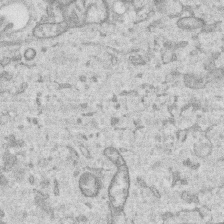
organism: Human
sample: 1205lu cells